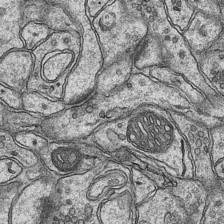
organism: Mouse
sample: CA1 Hippocampus